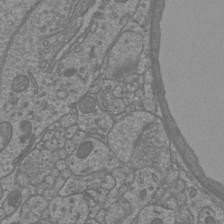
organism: Mouse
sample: Cortical neurons